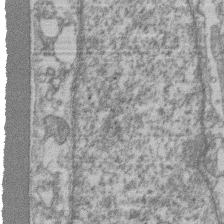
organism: Mouse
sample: T cell stromal cell synapse